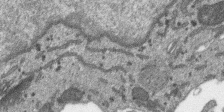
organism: Human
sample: Lung epithelial cells infected with SARS-CoV-2